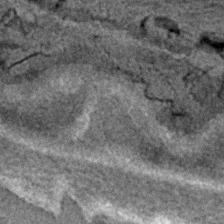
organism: C. elegans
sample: C. elegans embryo